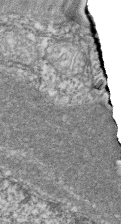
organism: Zebrafish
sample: Cilia; retinal pigment epithelium